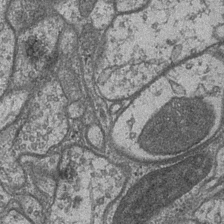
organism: Drosophila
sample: Optic medulla